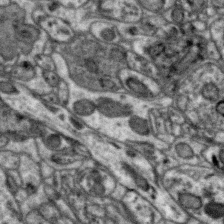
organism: Zebra finch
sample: Brain